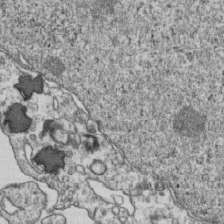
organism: Human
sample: Activated Jurkat CD4+ T cells